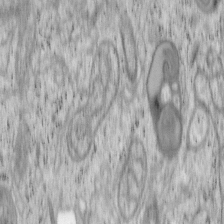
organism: Human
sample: HeLa cells